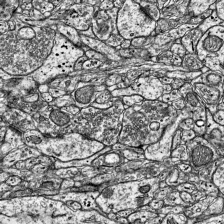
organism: Mouse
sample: Visual Cortex